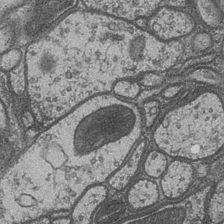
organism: Drosophila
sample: Optic medulla